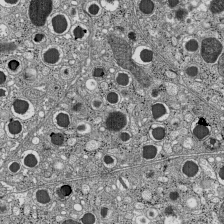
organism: C57BL Mouse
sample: Pancreatic islet